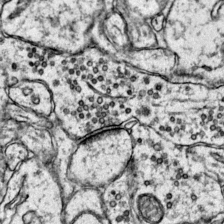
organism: Mouse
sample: Primary visual cortex